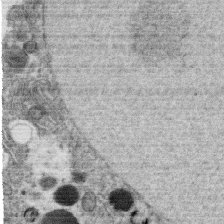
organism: C. elegans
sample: C. elegans oocyte; sperm cells